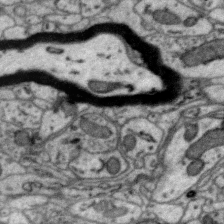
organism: Zebra finch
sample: Brain